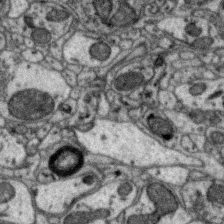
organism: Zebra finch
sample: Brain